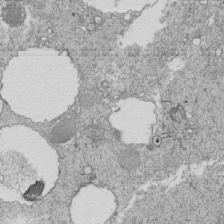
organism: Tetrahymena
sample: Cilia in tetrahymena